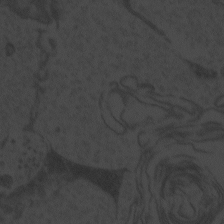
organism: Zebrafish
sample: Macrophage infected with Toxoplasma gondii